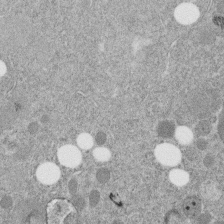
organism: C. elegans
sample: C. elegans embryo early stage